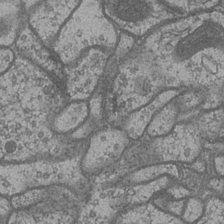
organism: Drosophila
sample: Optic medulla